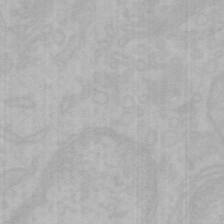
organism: Mouse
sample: Choroid plexus